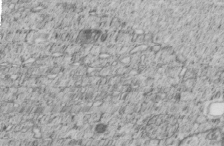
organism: C. elegans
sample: C. elegans embryo early stage